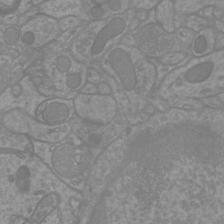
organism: Mouse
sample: Cortical neurons